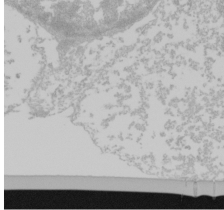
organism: Mouse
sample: Cancer cell death in ED-1 cells